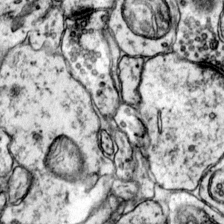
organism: Mouse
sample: Primary visual cortex